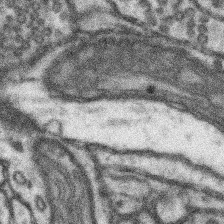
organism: Mouse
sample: Somatosensory cortex neuropil